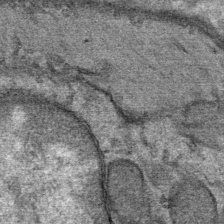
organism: Mouse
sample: Mouse Salivary gland